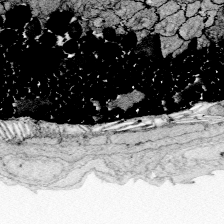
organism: Zebrafish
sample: Whole-Brain